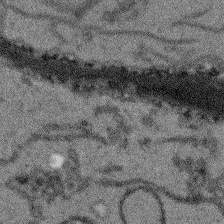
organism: Arabidopsis thaliana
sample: Root tip